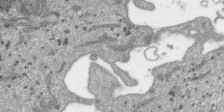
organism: Human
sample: Lung epithelial cells infected with SARS-CoV-2